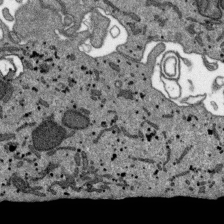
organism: Human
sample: Lung epithelial cells, uninfected (mock) control